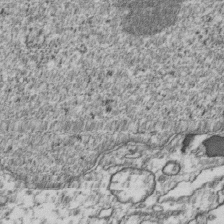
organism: Human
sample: Activated Jurkat CD4+ T cells